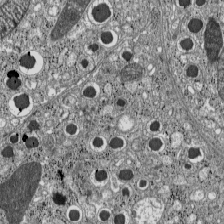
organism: C57BL Mouse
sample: Pancreatic islet